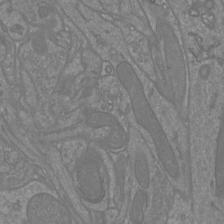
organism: Mouse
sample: Cortical neurons